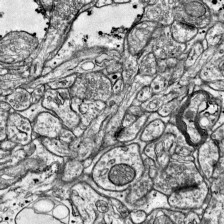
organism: Mouse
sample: Visual Cortex